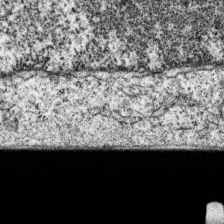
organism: Human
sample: HeLa cells